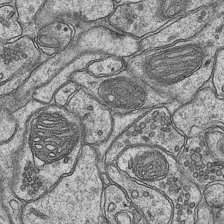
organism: Mouse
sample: CA1 Hippocampus